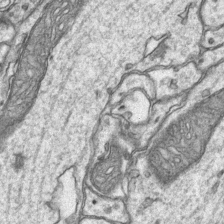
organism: Mouse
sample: CA1 Hippocampus